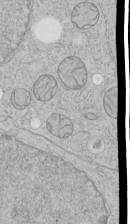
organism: Human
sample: Mitochondria in HCT116 cells